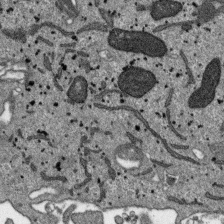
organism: Human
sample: Lung epithelial cells, uninfected (mock) control